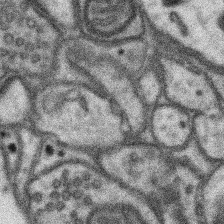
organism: Mouse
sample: Somatosensory cortex neuropil